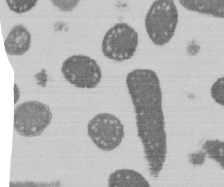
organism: E. coli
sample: Bacterial nucleoid